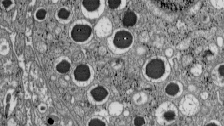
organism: C57BL Mouse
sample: Pancreatic islet